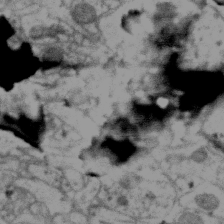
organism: Zebra finch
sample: Brain